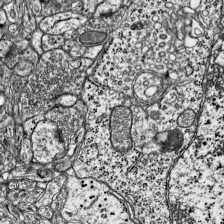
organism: Mouse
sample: Visual Cortex